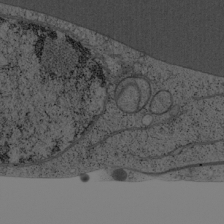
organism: African green monkey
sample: COS-7 cells